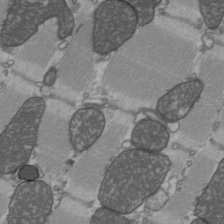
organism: C57BL Mouse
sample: Heart